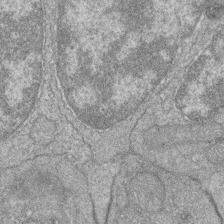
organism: Zebrafish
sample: Cilia; retinal pigment epithelium